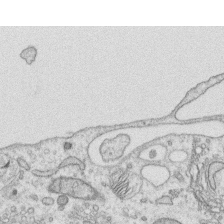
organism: Human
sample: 1205lu cells